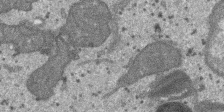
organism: Human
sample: Lung epithelial cells infected with SARS-CoV-2